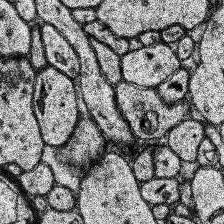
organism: Human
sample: Temporal Lobe